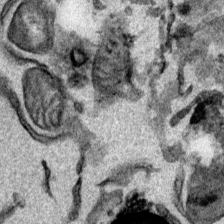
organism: Mouse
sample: Cancer cell death in ED-1 cells